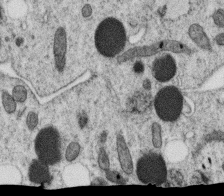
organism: C. elegans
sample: C. elegans oocyte; sperm cells